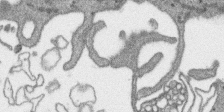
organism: Human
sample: Lung epithelial cells infected with SARS-CoV-2